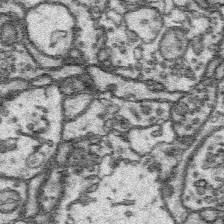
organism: Platynereis dumerilii